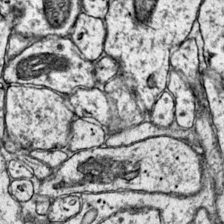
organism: Mouse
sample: Primary visual cortex